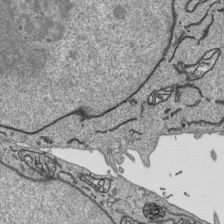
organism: Human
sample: Mitochondria in HCT116 cells